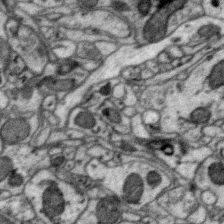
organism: Zebra finch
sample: Brain